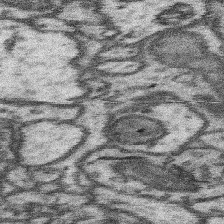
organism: Mouse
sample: Somatosensory cortex neuropil